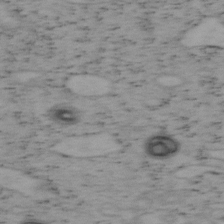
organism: Mouse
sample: OT-I killer T cells with ID8 ovarian cancer cells